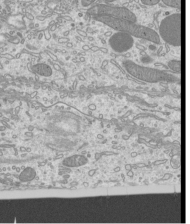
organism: Mouse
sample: Cilia; mouse epididymis